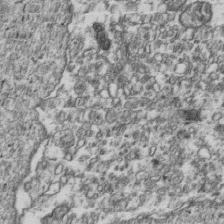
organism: Human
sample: Activated Jurkat CD4+ T cells